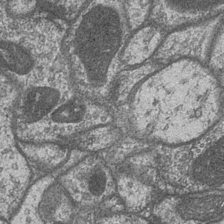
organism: Drosophila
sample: Optic medulla